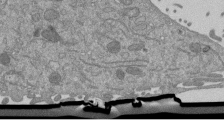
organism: Mouse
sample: ED-1 cell nuclei; centrioles